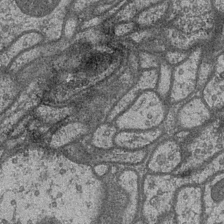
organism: Drosophila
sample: Optic medulla